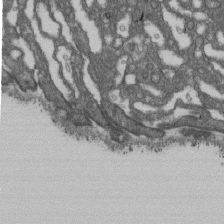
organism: Drosophila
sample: Nephrocyte